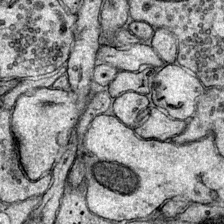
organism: Mouse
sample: Primary visual cortex